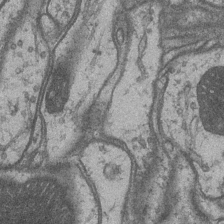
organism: Drosophila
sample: Optic medulla